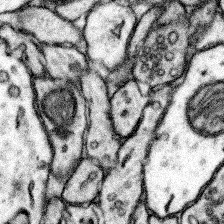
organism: Mouse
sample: Somatosensory cortex neuropil